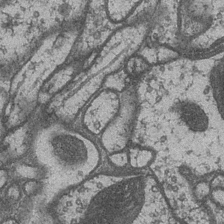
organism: Drosophila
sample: Optic medulla